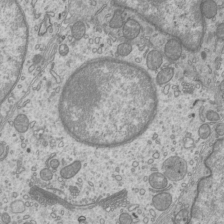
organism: Mouse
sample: Cilia; mouse epididymis